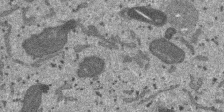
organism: Human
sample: Lung epithelial cells infected with SARS-CoV-2